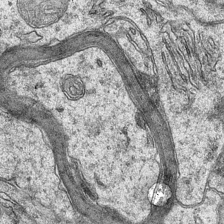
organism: Mouse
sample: CA1 Hippocampus